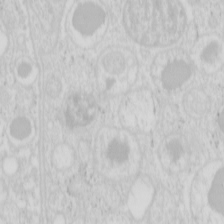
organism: Mouse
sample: Pancreas